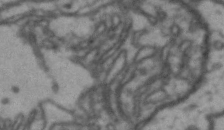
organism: Drosophila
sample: Brain